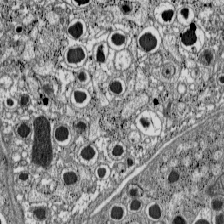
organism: C57BL Mouse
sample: Pancreatic islet